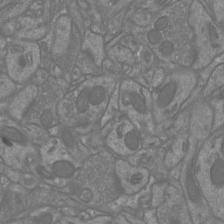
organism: Mouse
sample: Cortical neurons